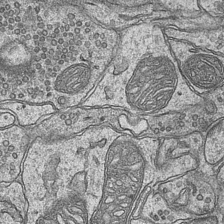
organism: Mouse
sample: CA1 Hippocampus